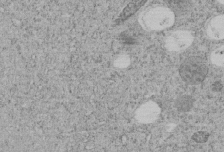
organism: C. elegans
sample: C. elegans embryo early stage